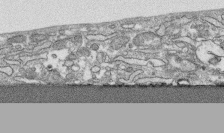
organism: Human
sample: CRL-1474